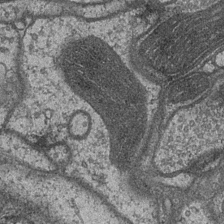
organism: Drosophila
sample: Optic medulla